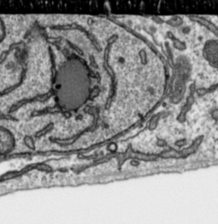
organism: Toxoplasma gondii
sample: Parasites in a vacuole inside a host cell